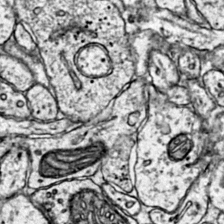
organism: Mouse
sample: Primary visual cortex